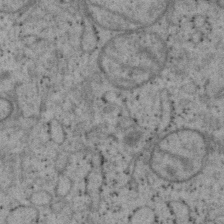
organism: Human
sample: HeLa cells